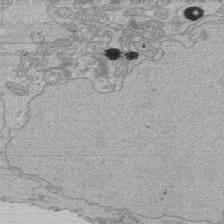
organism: Human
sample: Activated Jurkat CD4+ T cells